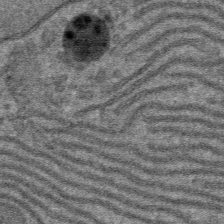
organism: Mouse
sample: Mouse hepatocytes